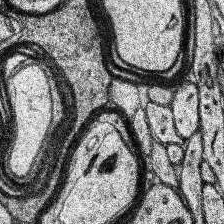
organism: Human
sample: Temporal Lobe